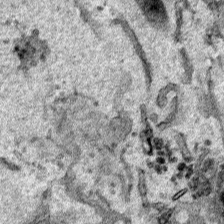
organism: Human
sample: Mitochondria in HCT116 cells